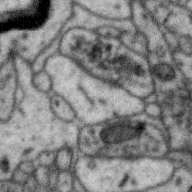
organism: Zebra finch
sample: Brain